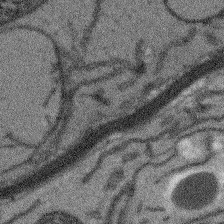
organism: Arabidopsis thaliana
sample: Root tip